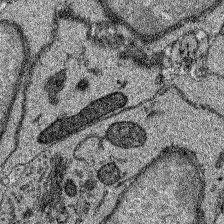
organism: Zebrafish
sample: Larval olfactory bulb